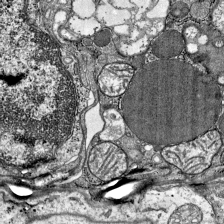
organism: Mouse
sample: Visual Cortex